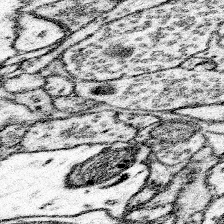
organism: Mouse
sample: Somatosensory cortex neuropil